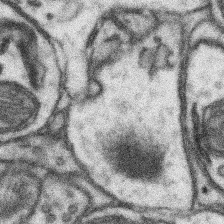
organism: Mouse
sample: Somatosensory cortex neuropil